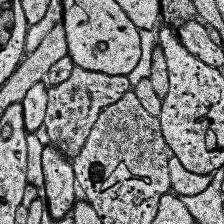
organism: Human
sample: Temporal Lobe